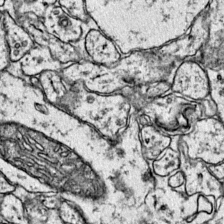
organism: Mouse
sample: Primary visual cortex